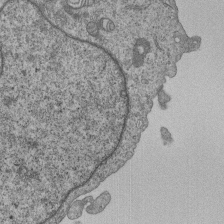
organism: Human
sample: MDA-MB-231 cells